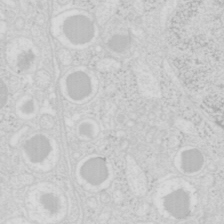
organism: Mouse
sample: Pancreas